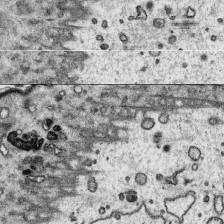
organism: Platynereis dumerilii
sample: Parapodia